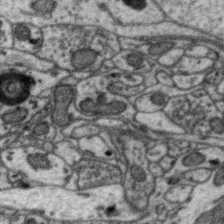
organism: Zebra finch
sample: Brain